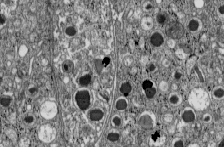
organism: C57BL Mouse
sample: Pancreatic islet